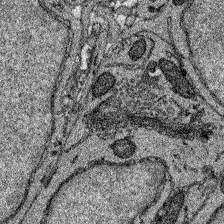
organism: Zebrafish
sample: Larval olfactory bulb